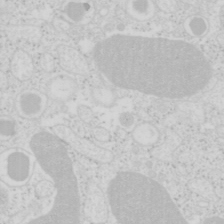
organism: Mouse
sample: Pancreas